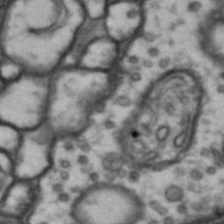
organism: Drosophila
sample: Brain